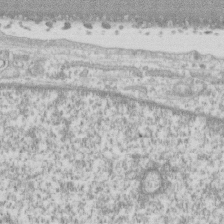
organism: Human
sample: CRL-1474